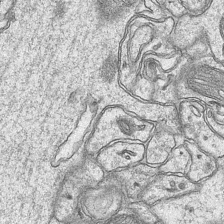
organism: Mouse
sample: CA1 Hippocampus